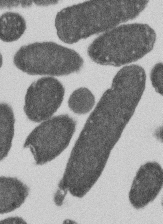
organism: E. coli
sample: Bacterial nucleoid